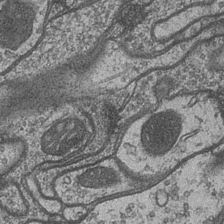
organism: Drosophila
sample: Optic medulla